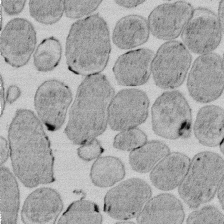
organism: E. coli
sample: Bacterial nucleoid